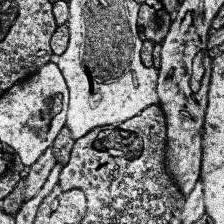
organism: Human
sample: Temporal Lobe